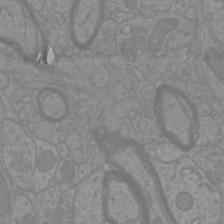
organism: Mouse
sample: Cortical neurons